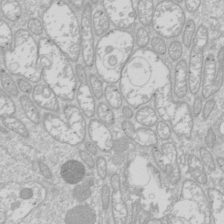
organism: Drosophila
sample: Cell division; meiosis; drosophila spermatocytes